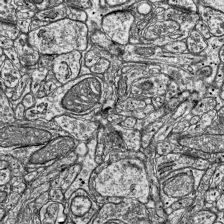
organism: Mouse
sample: Visual Cortex